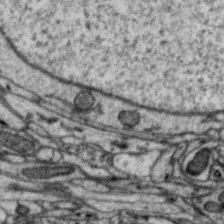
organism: Zebra finch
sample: Brain